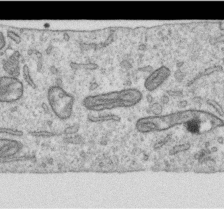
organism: Human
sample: Centriole in RPE cells